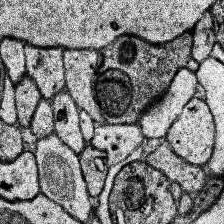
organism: Human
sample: Temporal Lobe